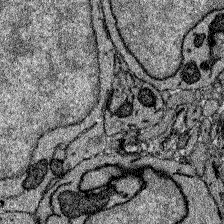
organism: Zebrafish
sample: Larval olfactory bulb